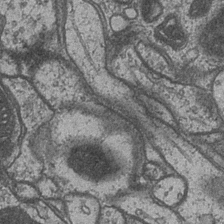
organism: Drosophila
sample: Optic medulla